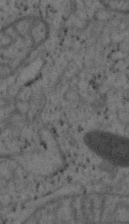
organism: Human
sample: HeLa cells